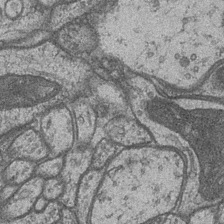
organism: Drosophila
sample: Optic medulla